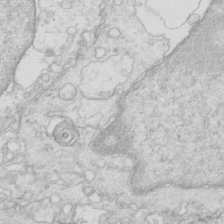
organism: Mouse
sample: Multiciliated cells